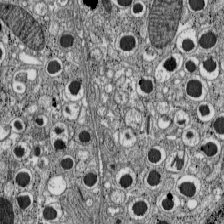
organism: C57BL Mouse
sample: Pancreatic islet